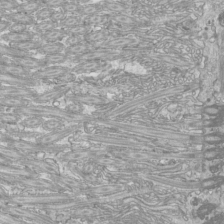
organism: Mouse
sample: Cilia; mouse epididymis